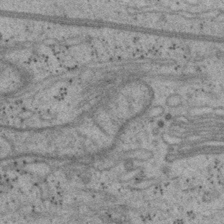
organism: Human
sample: HeLa cells